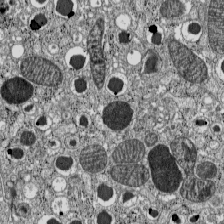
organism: C57BL Mouse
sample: Pancreatic islet